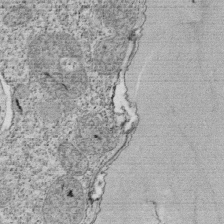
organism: Tetrahymena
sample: Cilia in tetrahymena